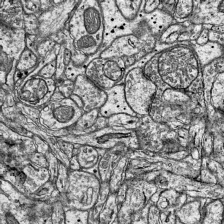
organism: Mouse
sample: Visual Cortex